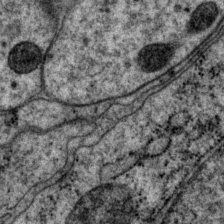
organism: P. pacificus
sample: Pharynx